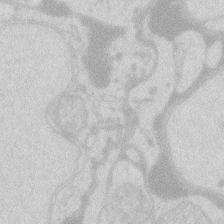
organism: Zebrafish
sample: Macrophage